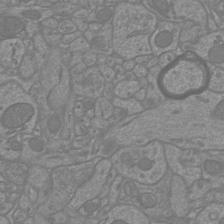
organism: Mouse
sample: Cortical neurons